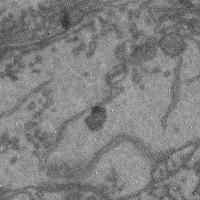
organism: Mouse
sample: Cerebral cortex